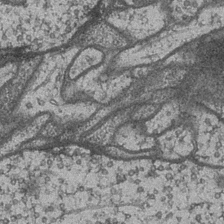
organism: Drosophila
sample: Optic medulla